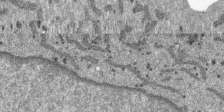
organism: Human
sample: Lung epithelial cells infected with SARS-CoV-2